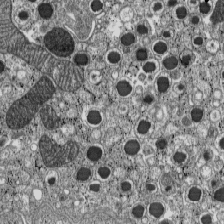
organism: C57BL Mouse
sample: Pancreatic islet